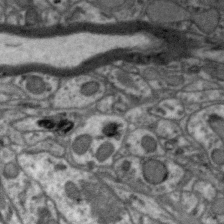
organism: Zebra finch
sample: Brain